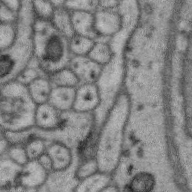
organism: Zebra finch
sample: Brain